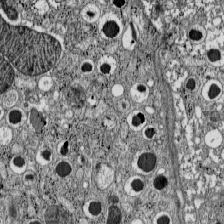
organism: C57BL Mouse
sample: Pancreatic islet